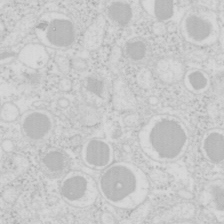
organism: Mouse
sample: Pancreas